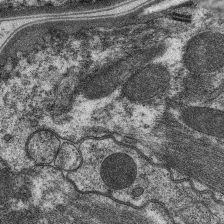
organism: C. elegans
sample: Pharynx